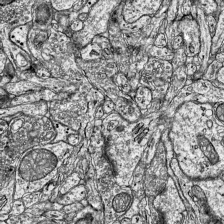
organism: Mouse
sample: Visual Cortex